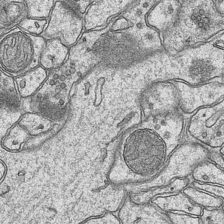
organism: Mouse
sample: CA1 Hippocampus